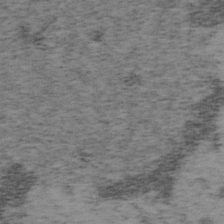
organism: Mouse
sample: OT-I killer T cells with ID8 ovarian cancer cells